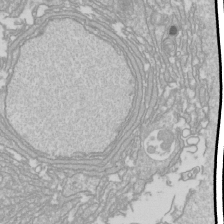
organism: Drosophila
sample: Cell division; meiosis; drosophila spermatocytes